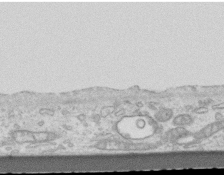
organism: Mouse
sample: Centriole in ependymal cells